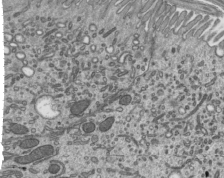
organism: Mouse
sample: Mouse epididymis efferent ductule cilia